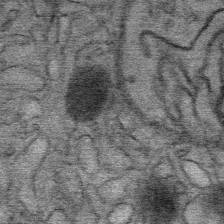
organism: Mouse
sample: Mouse Salivary gland